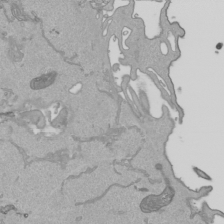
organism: Human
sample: Mitochondria in HCT116 cells